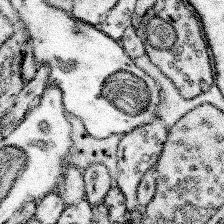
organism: Mouse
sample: Somatosensory cortex neuropil